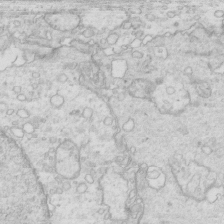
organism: Mouse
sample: Multiciliated cells